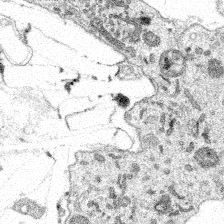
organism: Spongilla lacustris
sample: Multiple